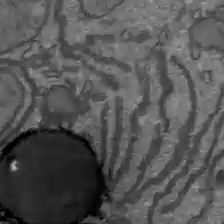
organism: C57BL Mouse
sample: Liver